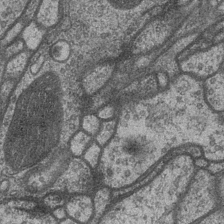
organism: Drosophila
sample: Optic medulla